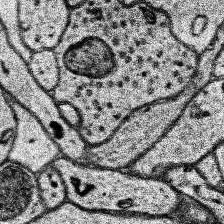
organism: Human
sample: Temporal Lobe